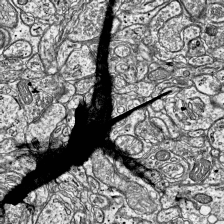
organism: Mouse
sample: Visual Cortex